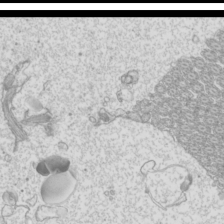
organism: Mouse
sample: Cilia; mouse epididymis